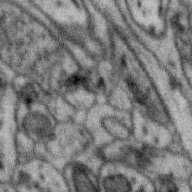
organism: Zebra finch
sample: Brain